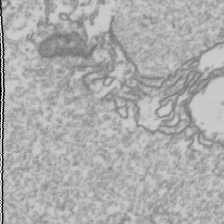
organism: Drosophila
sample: Cell division; meiosis; drosophila spermatocytes